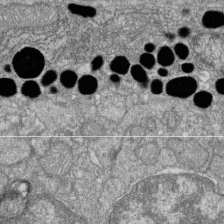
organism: Zebrafish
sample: Cilia; retinal pigment epithelium